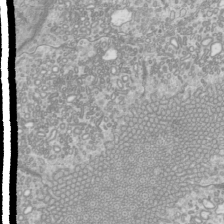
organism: Mouse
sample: Cilia; mouse epididymis